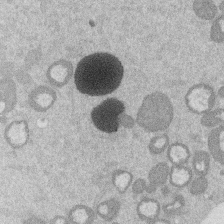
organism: Mouse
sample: Dividing mouse embryo 1 cell stage